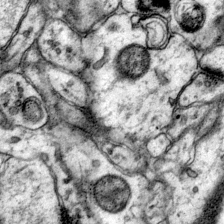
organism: Mouse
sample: Primary visual cortex